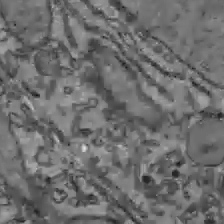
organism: C57BL Mouse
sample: Liver